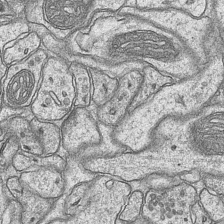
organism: Mouse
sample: CA1 Hippocampus